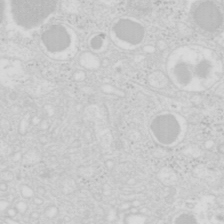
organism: Mouse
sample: Pancreas